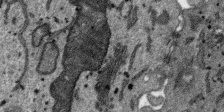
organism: Human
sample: Lung epithelial cells, uninfected (mock) control